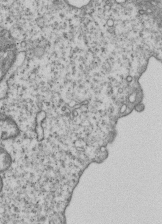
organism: Human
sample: MDA-MB-231 cells